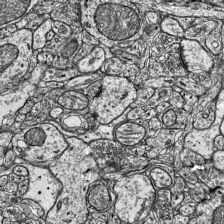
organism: Mouse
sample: Visual Cortex